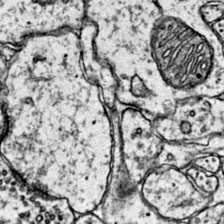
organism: Mouse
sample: Primary visual cortex